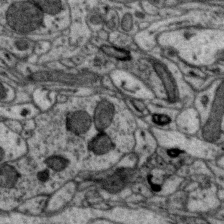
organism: Zebra finch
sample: Brain